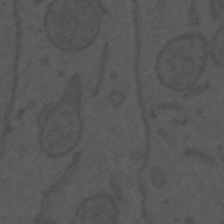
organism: Mouse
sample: Suprachiasmatic nucleus